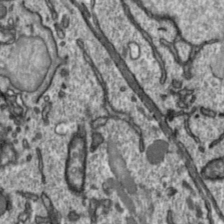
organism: Toxoplasma gondii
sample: Parasites in a vacuole inside a host cell